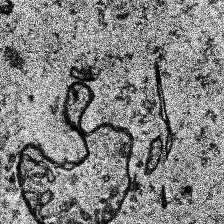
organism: Human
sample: Temporal Lobe